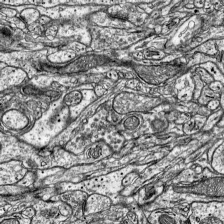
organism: Mouse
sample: Visual Cortex